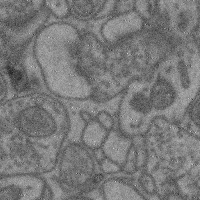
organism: Mouse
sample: Cerebral cortex